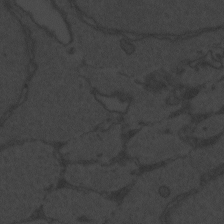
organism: Zebrafish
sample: Macrophage infected with Toxoplasma gondii